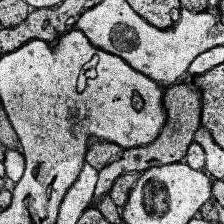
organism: Human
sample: Temporal Lobe